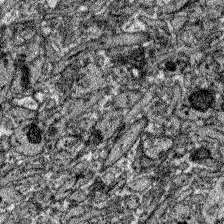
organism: Zebrafish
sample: Larval olfactory bulb